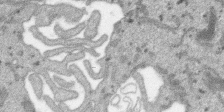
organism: Human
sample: Lung epithelial cells infected with SARS-CoV-2